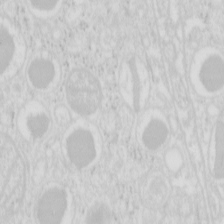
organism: Mouse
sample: Pancreas